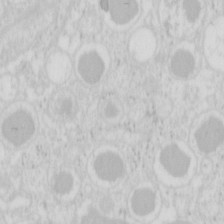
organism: Mouse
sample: Pancreas